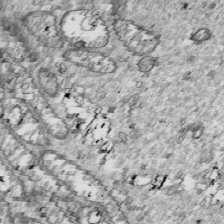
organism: Drosophila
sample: Cell division; meiosis; drosophila spermatocytes